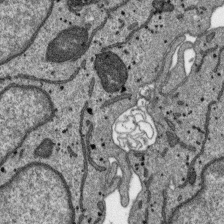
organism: Human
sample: Lung epithelial cells, uninfected (mock) control